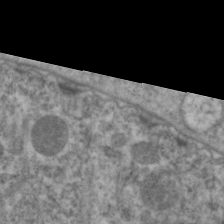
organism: C. elegans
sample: Pharynx